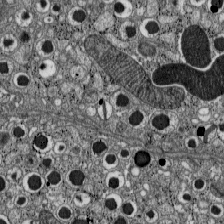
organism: C57BL Mouse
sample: Pancreatic islet